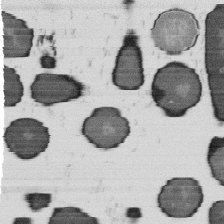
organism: B. subtilis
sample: Bacterial spore